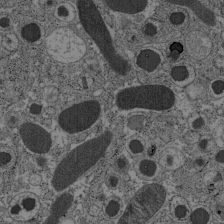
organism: C57BL Mouse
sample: Pancreatic islet